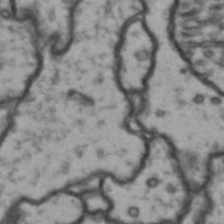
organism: Drosophila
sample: Brain